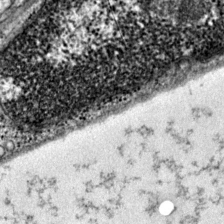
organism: Mouse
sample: Primary visual cortex